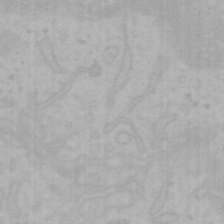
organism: Mouse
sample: Choroid plexus